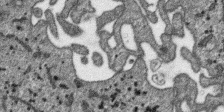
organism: Human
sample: Lung epithelial cells infected with SARS-CoV-2